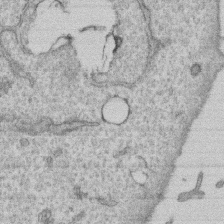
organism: Human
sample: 1205lu cells